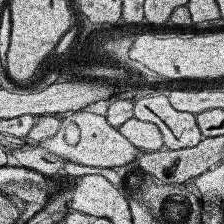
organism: Human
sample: Temporal Lobe